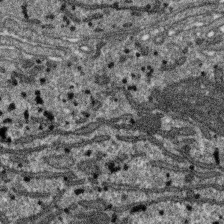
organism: Human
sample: Lung epithelial cells infected with SARS-CoV-2